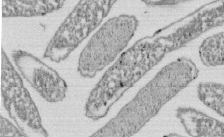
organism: E. coli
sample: Bacterial nucleoid